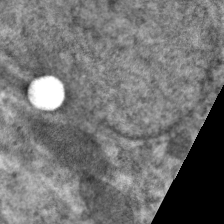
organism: C. elegans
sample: Pharynx